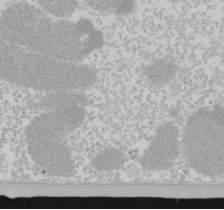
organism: Mouse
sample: Cancer cell death in ED-1 cells